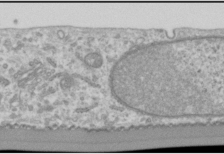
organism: Human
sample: Cilia; basal body in RPE cells